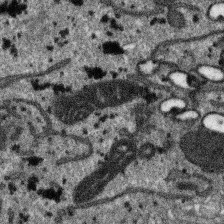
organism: Human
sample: Lung epithelial cells infected with SARS-CoV-2